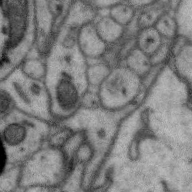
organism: Zebra finch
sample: Brain